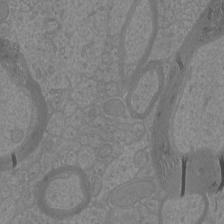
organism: Mouse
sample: Cortical neurons